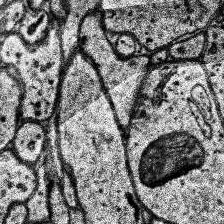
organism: Human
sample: Temporal Lobe